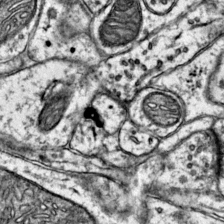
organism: Mouse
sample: Primary visual cortex